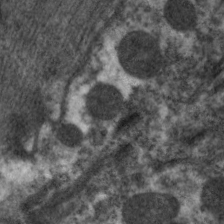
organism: C. elegans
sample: Pharynx